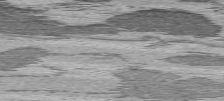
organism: C57BL Mouse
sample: Heart